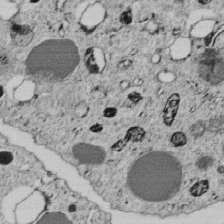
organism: C. elegans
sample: C. elegans embryo early stage